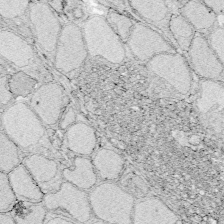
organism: Zebrafish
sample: Whole-Brain